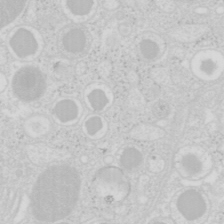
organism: Mouse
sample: Pancreas